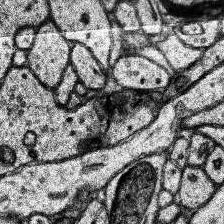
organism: Human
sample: Temporal Lobe